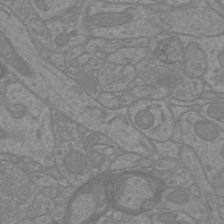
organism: Mouse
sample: Cortical neurons